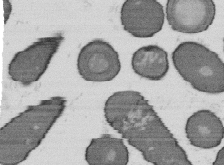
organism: B. subtilis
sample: Bacterial spore